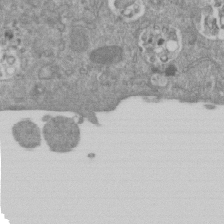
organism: Mouse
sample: ED-1 cell nuclei; centrioles